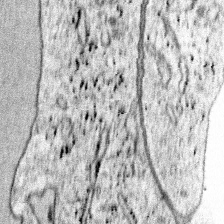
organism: Human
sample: HeLa cells